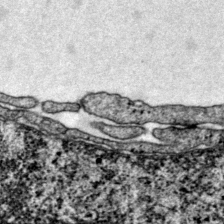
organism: Mouse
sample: Primary visual cortex